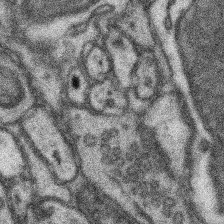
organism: Mouse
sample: Somatosensory cortex neuropil